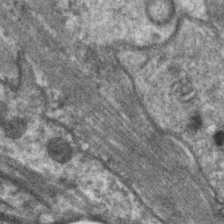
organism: C. elegans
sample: Pharynx